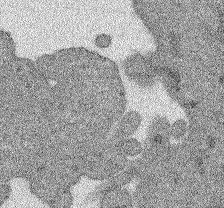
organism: Human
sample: HeLa cells